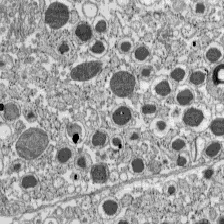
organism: C57BL Mouse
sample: Pancreatic islet